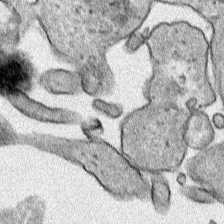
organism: Human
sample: Mitochondria in HCT116 cells